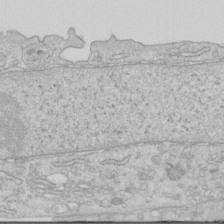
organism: Human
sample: Centriole in RPE cells